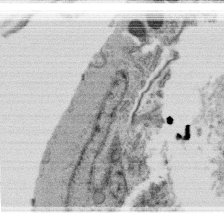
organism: C. elegans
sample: C. elegans oocyte; sperm cells